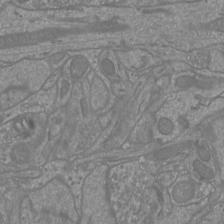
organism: Mouse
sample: Cortical neurons